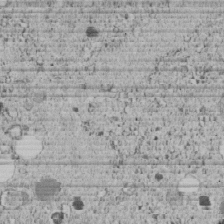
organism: C. elegans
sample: C. elegans embryo early stage